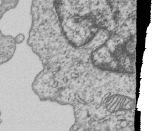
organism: Human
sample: MDA-MB-231 cells